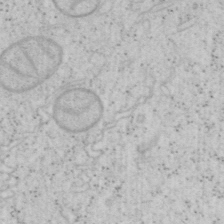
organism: Human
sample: HeLa cells